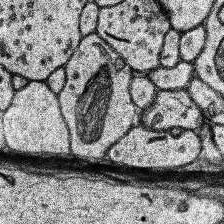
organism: Human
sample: Temporal Lobe